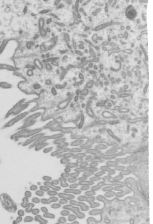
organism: Mouse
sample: Mouse epididymis efferent ductule cilia